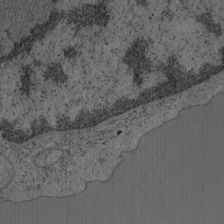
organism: Mouse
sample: OT-I killer T cells with ID8 ovarian cancer cells